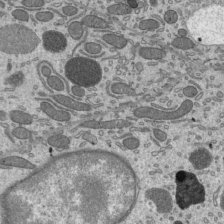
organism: Mouse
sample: Mouse epididymis efferent ductule cilia